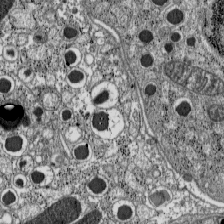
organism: C57BL Mouse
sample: Pancreatic islet